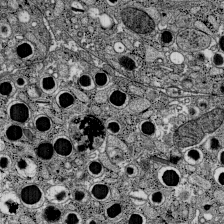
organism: C57BL Mouse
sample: Pancreatic islet